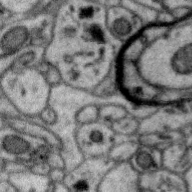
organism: Zebra finch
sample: Brain